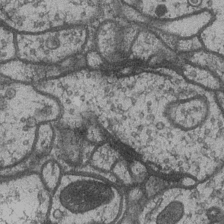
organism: Drosophila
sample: Optic medulla